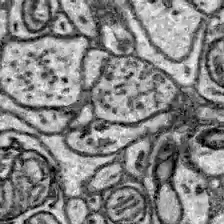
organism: Zebrafish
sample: Brain